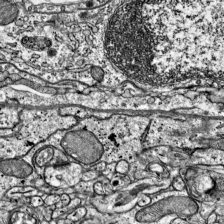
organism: Mouse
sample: Visual Cortex